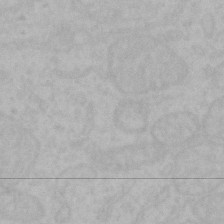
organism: Mouse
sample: Choroid plexus